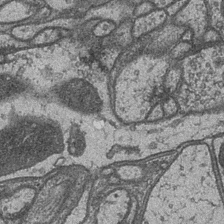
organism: Drosophila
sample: Optic medulla